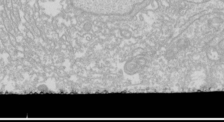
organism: Drosophila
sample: Cell division; meiosis; drosophila spermatocytes